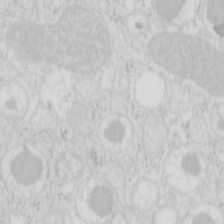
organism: Mouse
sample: Pancreas